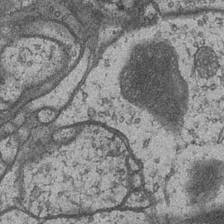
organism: Drosophila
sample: Optic medulla